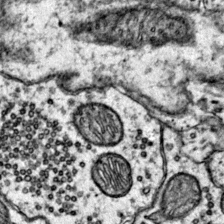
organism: Mouse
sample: Primary visual cortex